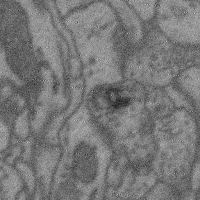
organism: Mouse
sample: Cerebral cortex